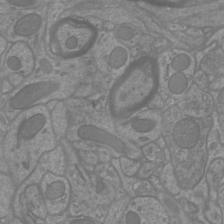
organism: Mouse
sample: Cortical neurons